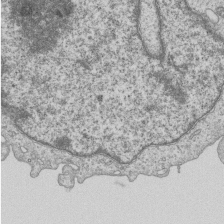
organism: Human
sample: MDA-MB-231 cells